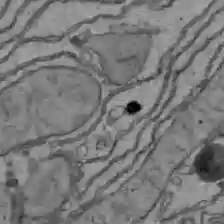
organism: C57BL Mouse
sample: Liver